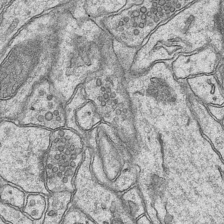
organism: Mouse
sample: CA1 Hippocampus